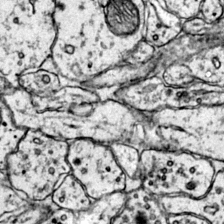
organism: Mouse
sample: Primary visual cortex